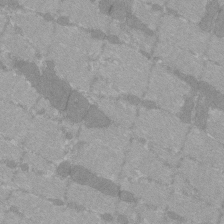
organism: C57BL Mouse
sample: Tibialis anterior muscle cell